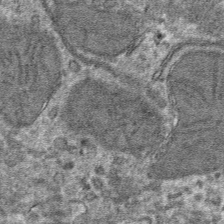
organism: Mouse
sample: Mouse hepatocytes